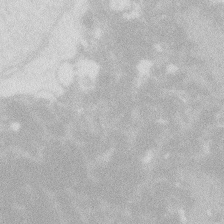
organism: Zebrafish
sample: Macrophage